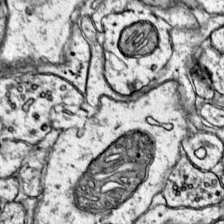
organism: Mouse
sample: Primary visual cortex